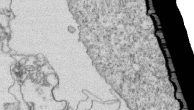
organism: Human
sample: HeLa cell HIV synapse